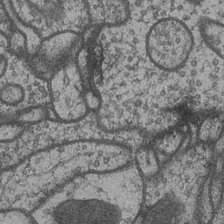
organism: Drosophila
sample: Optic medulla